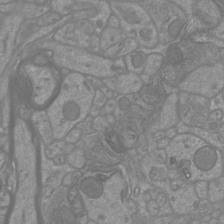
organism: Mouse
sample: Cortical neurons